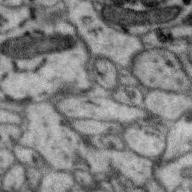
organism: Zebra finch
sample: Brain